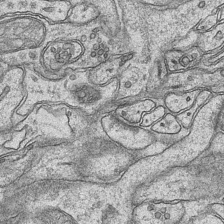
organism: Mouse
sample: CA1 Hippocampus